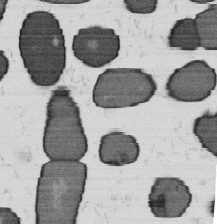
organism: B. subtilis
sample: Bacterial spore